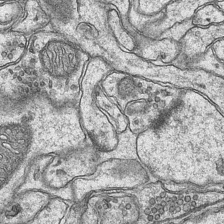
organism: Mouse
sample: CA1 Hippocampus